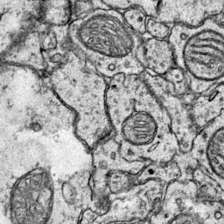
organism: Mouse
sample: Primary visual cortex